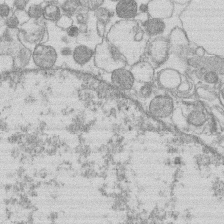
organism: Human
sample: Macrophage cells